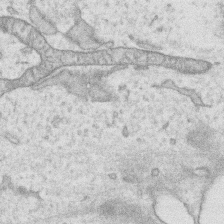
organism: Human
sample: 1205lu cells